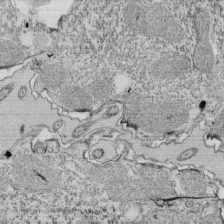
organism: Tetrahymena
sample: Cilia in tetrahymena